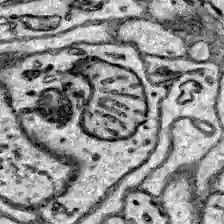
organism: Zebrafish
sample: Brain